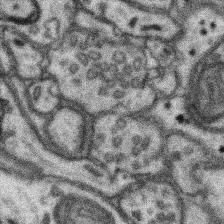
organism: Mouse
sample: Somatosensory cortex neuropil